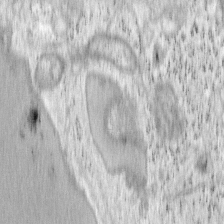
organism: Human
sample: HeLa cells